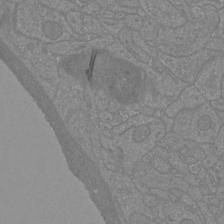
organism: Mouse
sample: Cortical neurons